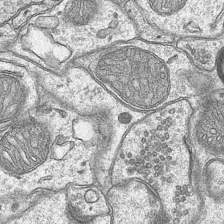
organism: Mouse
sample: CA1 Hippocampus